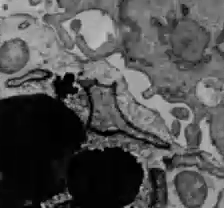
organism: C57BL Mouse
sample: Liver